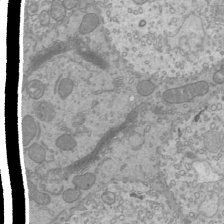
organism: Mouse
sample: Cilia; mouse epididymis